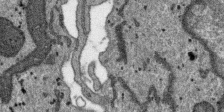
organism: Human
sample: Lung epithelial cells, uninfected (mock) control